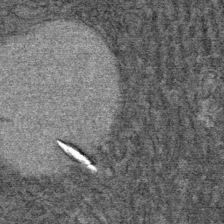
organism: Mouse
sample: Mouse Salivary gland